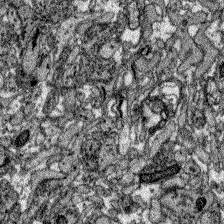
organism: Zebrafish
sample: Larval olfactory bulb